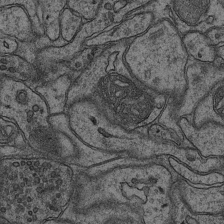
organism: Mouse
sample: CA1 Hippocampus